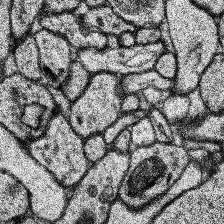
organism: Human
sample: Temporal Lobe